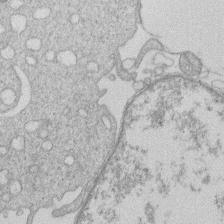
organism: Human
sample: Macrophage cells